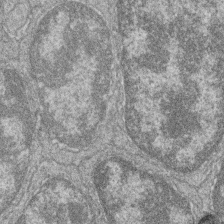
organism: Zebrafish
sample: Cilia; retinal pigment epithelium